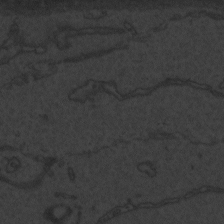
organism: Zebrafish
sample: Macrophage infected with Toxoplasma gondii